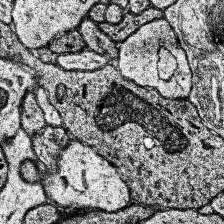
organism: Human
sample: Temporal Lobe